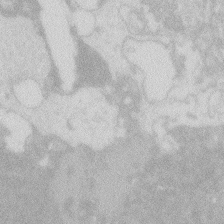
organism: Zebrafish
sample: Macrophage